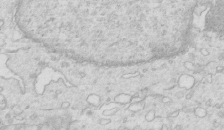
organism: Mouse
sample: Multiciliated cells